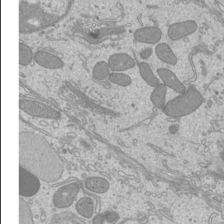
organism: Mouse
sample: Cilia; mouse epididymis